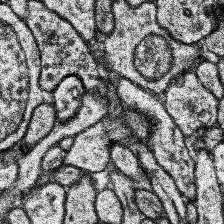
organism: Human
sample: Temporal Lobe